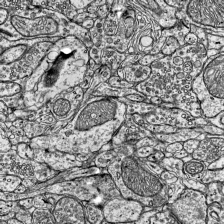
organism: Mouse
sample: Visual Cortex